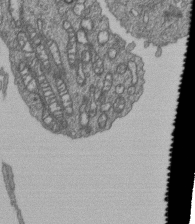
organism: Human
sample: Retinal organoid Rod and Cone cells